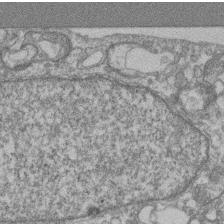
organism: Mouse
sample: T cell stromal cell synapse